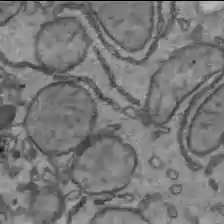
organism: C57BL Mouse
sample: Liver